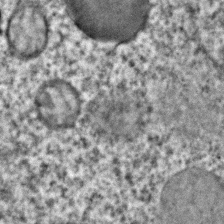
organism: C. elegans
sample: C. elegans embryo